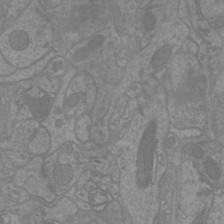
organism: Mouse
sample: Cortical neurons